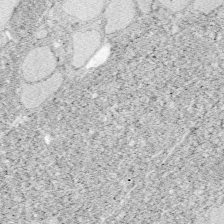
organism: Zebrafish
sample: Whole-Brain